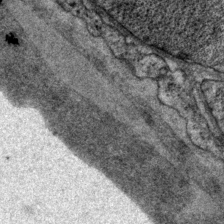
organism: P. pacificus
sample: Pharynx